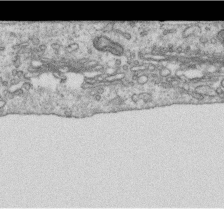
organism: Human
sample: Centriole in RPE cells